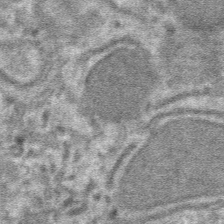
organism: Mouse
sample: Mouse hepatocytes